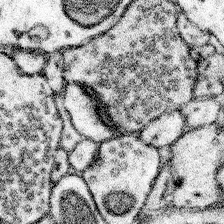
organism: Mouse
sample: Somatosensory cortex neuropil